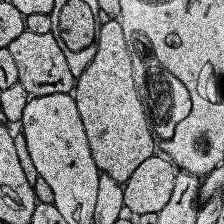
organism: Human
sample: Temporal Lobe